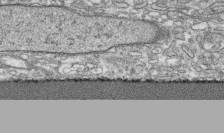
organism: Human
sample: CRL-1474